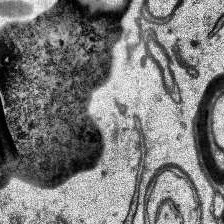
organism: Human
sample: Temporal Lobe